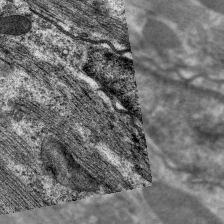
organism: C. elegans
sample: Pharynx